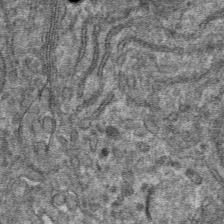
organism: Mouse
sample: Mouse hepatocytes